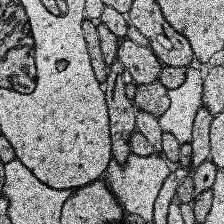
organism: Human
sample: Temporal Lobe